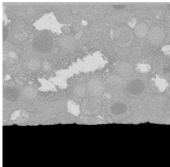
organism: C. elegans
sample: C. elegans oocyte; sperm cells